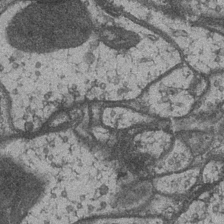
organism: Drosophila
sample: Optic medulla